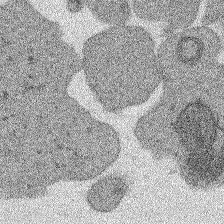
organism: Human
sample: HeLa cells